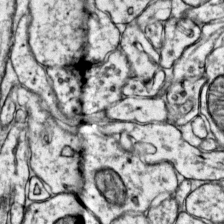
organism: Mouse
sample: Primary visual cortex